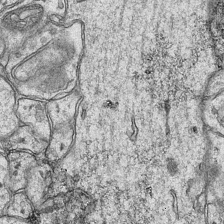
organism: Mouse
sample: CA1 Hippocampus